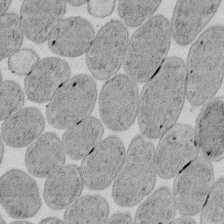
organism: E. coli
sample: Bacterial nucleoid